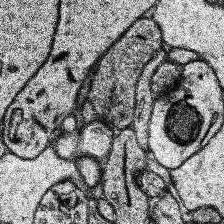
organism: Human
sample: Temporal Lobe